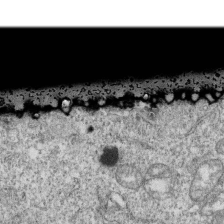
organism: Human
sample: HeLa cell HIV synapse